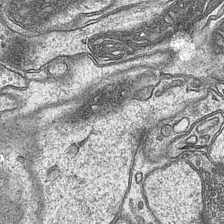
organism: Mouse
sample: CA1 Hippocampus